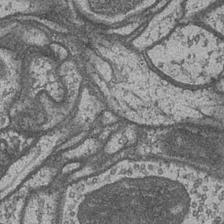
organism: Drosophila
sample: Optic medulla